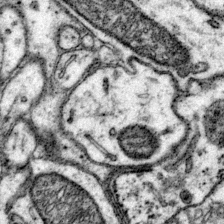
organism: Mouse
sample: Primary visual cortex